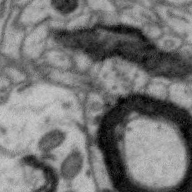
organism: Zebra finch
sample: Brain